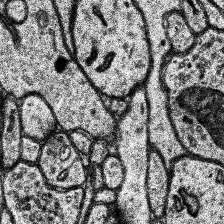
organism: Human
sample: Temporal Lobe